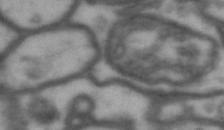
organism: Drosophila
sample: Brain